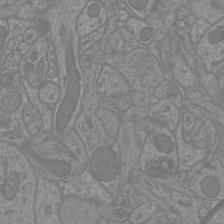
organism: Mouse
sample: Cortical neurons